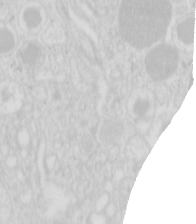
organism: Mouse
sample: Pancreas